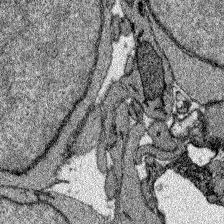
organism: Zebrafish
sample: Larval olfactory bulb